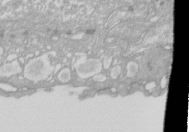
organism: Xenopus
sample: Cilia; centrioles in frog embryo cells